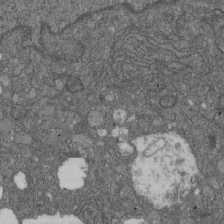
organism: Drosophila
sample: Nephrocyte